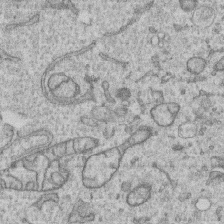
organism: Human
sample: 1205lu cells